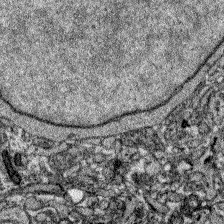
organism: Zebrafish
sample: Larval olfactory bulb